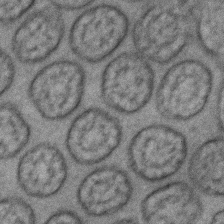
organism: C. elegans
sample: C. elegans embryo